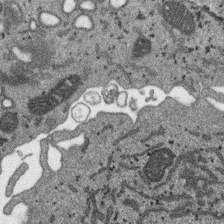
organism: Human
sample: Lung epithelial cells infected with SARS-CoV-2